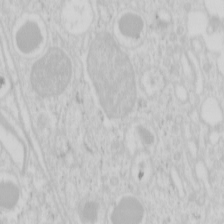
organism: Mouse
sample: Pancreas